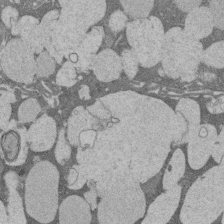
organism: Rat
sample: Salivary granule